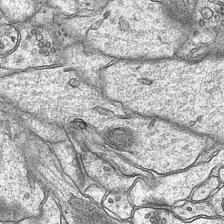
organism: Mouse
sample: CA1 Hippocampus